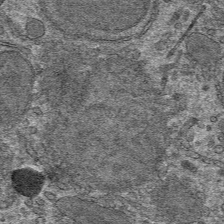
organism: Mouse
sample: Mouse hepatocytes